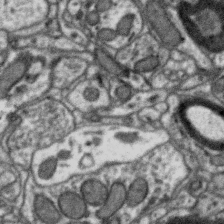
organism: Zebra finch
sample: Brain